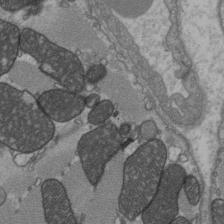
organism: C57BL Mouse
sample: Heart